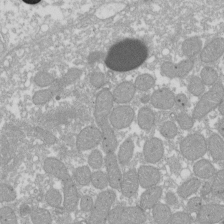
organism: Xenopus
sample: Cilia; centrioles in frog embryo cells